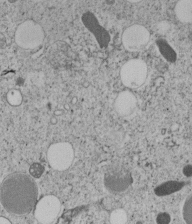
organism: C. elegans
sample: C. elegans embryo early stage